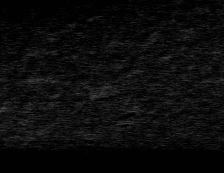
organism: Human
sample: HeLa cells